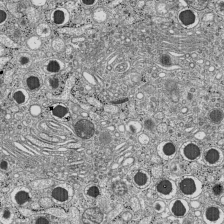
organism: C57BL Mouse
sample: Pancreatic islet